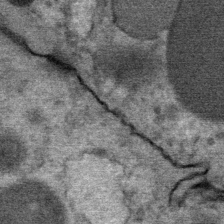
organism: Mouse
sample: Mouse Salivary gland